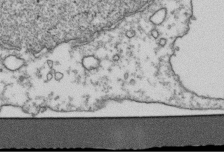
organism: Human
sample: Activated Jurkat CD4+ T cells